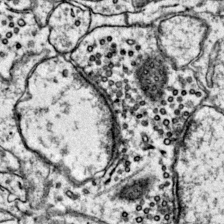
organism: Mouse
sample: Primary visual cortex